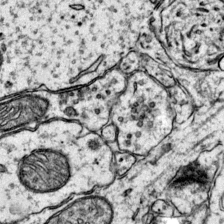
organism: Mouse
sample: Primary visual cortex